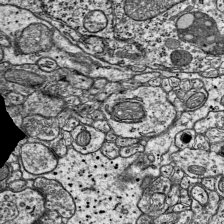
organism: Mouse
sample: Visual Cortex